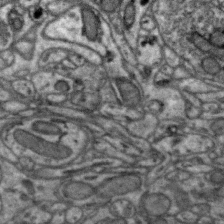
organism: Zebra finch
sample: Brain